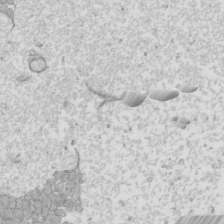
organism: Mouse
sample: Cilia; mouse epididymis